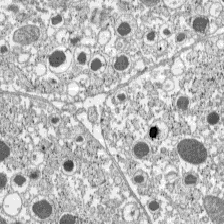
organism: C57BL Mouse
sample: Pancreatic islet